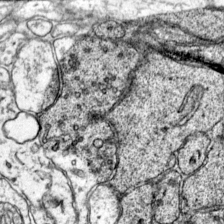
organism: Mouse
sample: Primary visual cortex